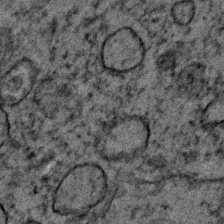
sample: Trachea